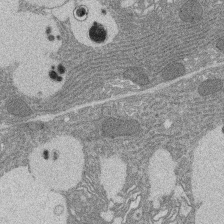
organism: Rat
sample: Salivary granule